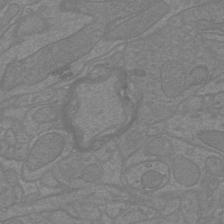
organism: Mouse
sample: Cortical neurons